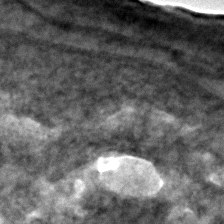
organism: C. elegans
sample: C. elegans embryo